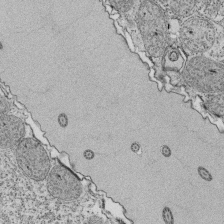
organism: Tetrahymena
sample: Cilia in tetrahymena